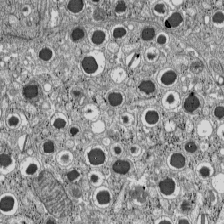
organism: C57BL Mouse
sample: Pancreatic islet